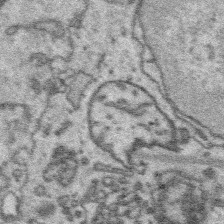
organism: Platynereis dumerilii